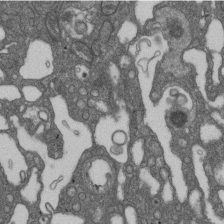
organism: Drosophila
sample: Nephrocyte